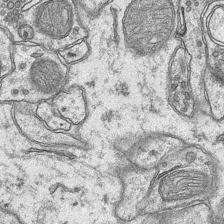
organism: Mouse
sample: CA1 Hippocampus